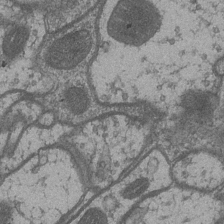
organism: Drosophila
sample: Optic medulla